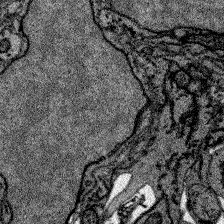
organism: Zebrafish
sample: Larval olfactory bulb